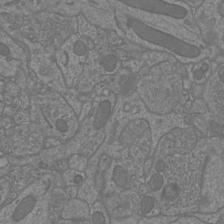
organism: Mouse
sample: Cortical neurons